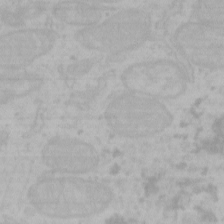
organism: Mouse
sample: Choroid plexus